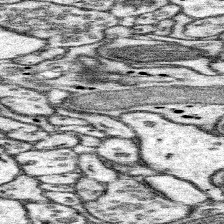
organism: Mouse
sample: Somatosensory cortex neuropil